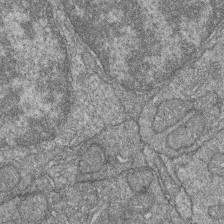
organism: Zebrafish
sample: Cilia; retinal pigment epithelium